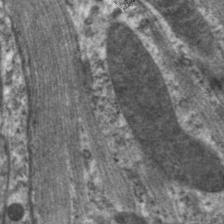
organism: C. elegans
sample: Pharynx